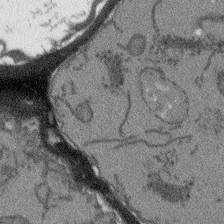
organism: Arabidopsis thaliana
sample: Root tip